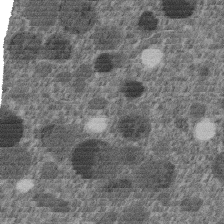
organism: C. elegans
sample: C. elegans embryo early stage